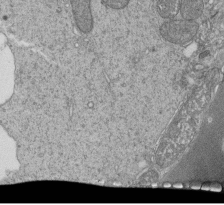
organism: Tetrahymena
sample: Cilia in tetrahymena